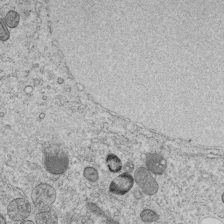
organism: C. elegans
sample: C. elegans embryo early stage